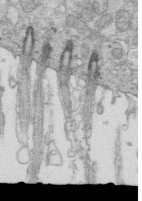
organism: Mouse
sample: Multiciliated cells